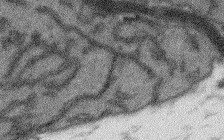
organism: Arabidopsis thaliana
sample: Root tip